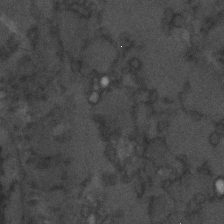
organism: C. elegans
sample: C. elegans embryo